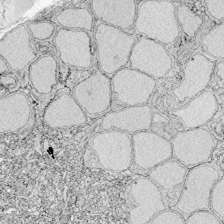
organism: Zebrafish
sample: Whole-Brain